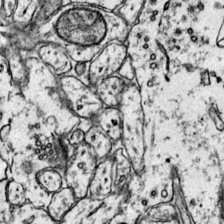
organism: Mouse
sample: Primary visual cortex